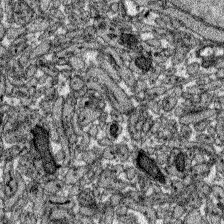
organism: Zebrafish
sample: Larval olfactory bulb